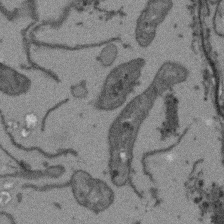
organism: Arabidopsis thaliana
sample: Root tip